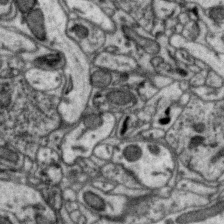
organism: Zebra finch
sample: Brain